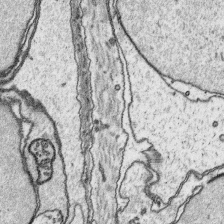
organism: Platynereis dumerilii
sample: Parapodia